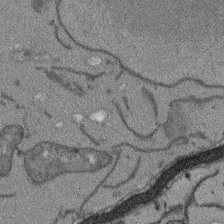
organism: Arabidopsis thaliana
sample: Root tip